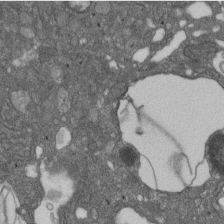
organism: Drosophila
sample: Nephrocyte